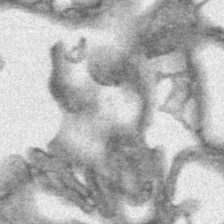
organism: Human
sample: Mitochondria in HCT116 cells